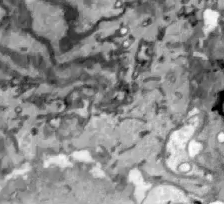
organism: Zebrafish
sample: Actinotrichia fibers